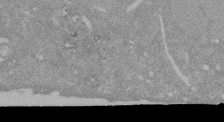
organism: Mouse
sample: ED-1 cell nuclei; centrioles